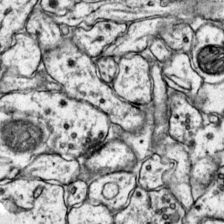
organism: Mouse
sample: Primary visual cortex